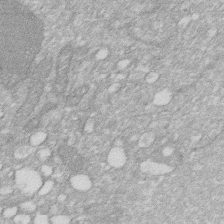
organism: Human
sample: HIV infected U937 cells